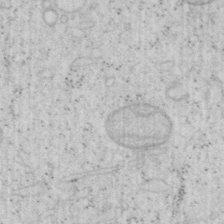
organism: Human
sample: HeLa cells